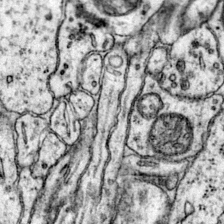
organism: Mouse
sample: Primary visual cortex